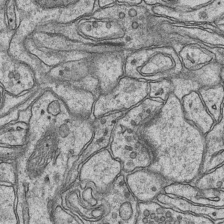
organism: Mouse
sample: CA1 Hippocampus